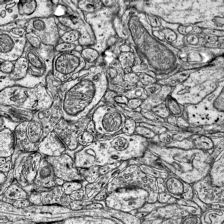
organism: Mouse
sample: Visual Cortex